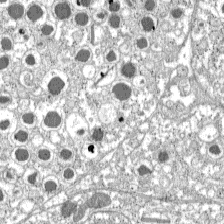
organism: C57BL Mouse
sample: Pancreatic islet